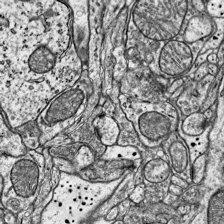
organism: Mouse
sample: Visual Cortex